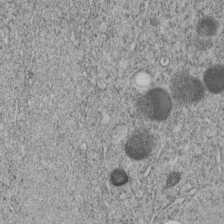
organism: C. elegans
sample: C. elegans embryo early stage